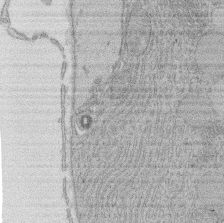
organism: Rat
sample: Salivary granule